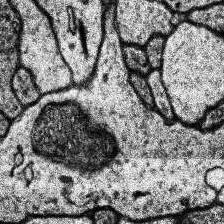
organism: Human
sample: Temporal Lobe